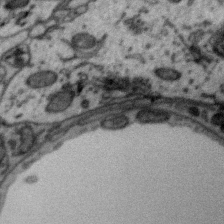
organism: Zebra finch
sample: Brain